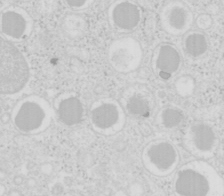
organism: Mouse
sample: Pancreas